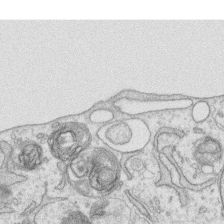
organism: Human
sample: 1205lu cells